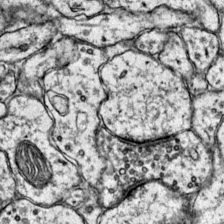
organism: Mouse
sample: Primary visual cortex